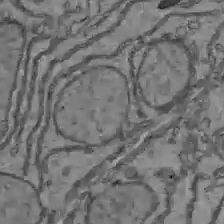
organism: C57BL Mouse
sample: Liver